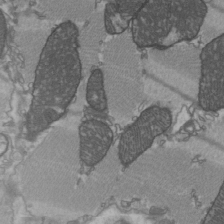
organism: C57BL Mouse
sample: Heart